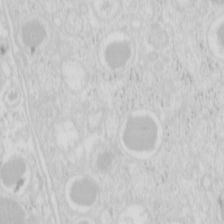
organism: Mouse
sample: Pancreas